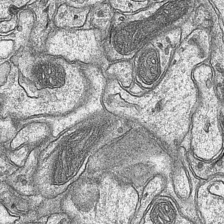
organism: Mouse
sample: CA1 Hippocampus